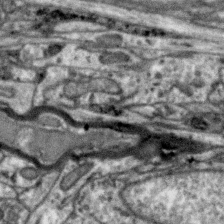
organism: Zebra finch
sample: Brain